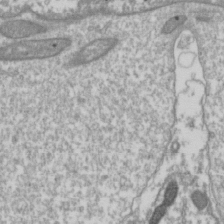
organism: Drosophila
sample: Cell division; meiosis; drosophila spermatocytes